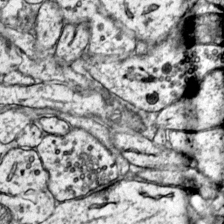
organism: Mouse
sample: Primary visual cortex